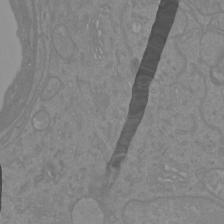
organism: Mouse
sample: Cortical neurons